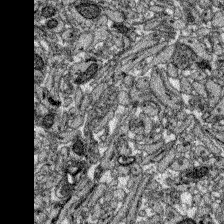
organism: Zebrafish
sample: Larval olfactory bulb